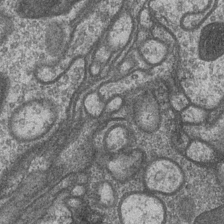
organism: Drosophila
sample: Optic medulla